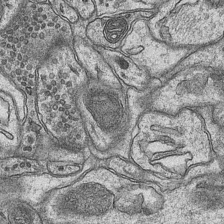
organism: Mouse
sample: CA1 Hippocampus